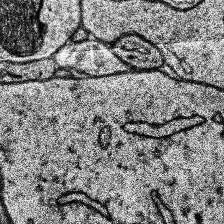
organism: Human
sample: Temporal Lobe